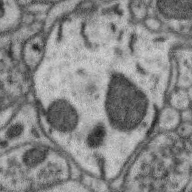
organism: Zebra finch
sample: Brain